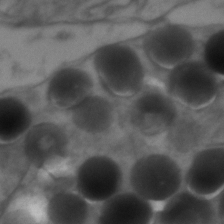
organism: Zebrafish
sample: Zebrafish embryo